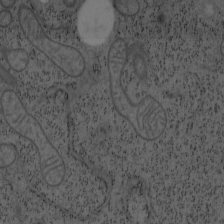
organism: Mouse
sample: OT-I killer T cells with ID8 ovarian cancer cells